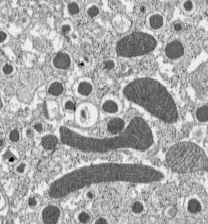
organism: C57BL Mouse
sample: Pancreatic islet